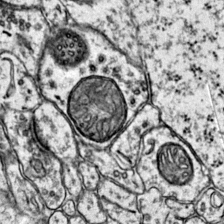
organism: Mouse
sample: Primary visual cortex